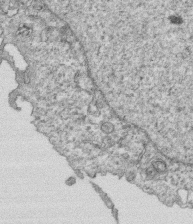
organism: Human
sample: HeLa cell HIV synapse